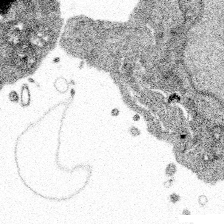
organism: Spongilla lacustris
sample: Multiple